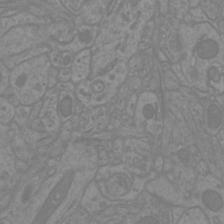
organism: Mouse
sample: Cortical neurons